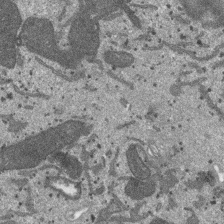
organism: Human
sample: Lung epithelial cells infected with SARS-CoV-2